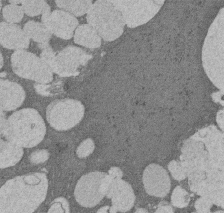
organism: Rat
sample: Salivary granule